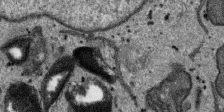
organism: Human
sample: Lung epithelial cells, uninfected (mock) control